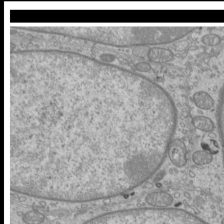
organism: Mouse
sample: Cilia; mouse epididymis